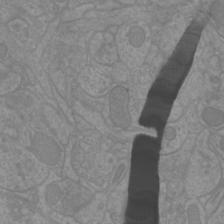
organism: Mouse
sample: Cortical neurons